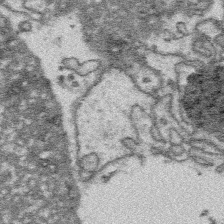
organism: Platynereis dumerilii